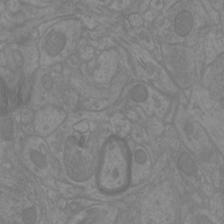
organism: Mouse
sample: Cortical neurons